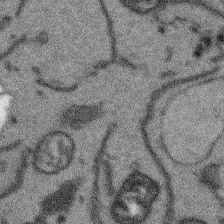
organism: Arabidopsis thaliana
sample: Root tip